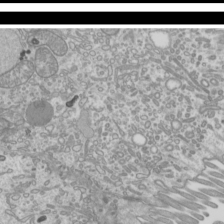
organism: Mouse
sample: Cilia; mouse epididymis